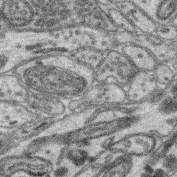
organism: Mouse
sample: Retina